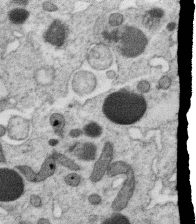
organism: C. elegans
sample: C. elegans oocyte; sperm cells